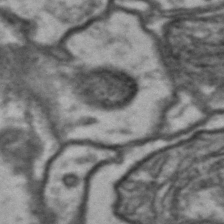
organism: Drosophila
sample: Brain